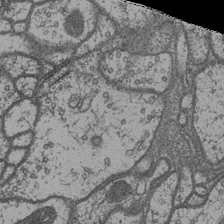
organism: Drosophila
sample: Optic medulla